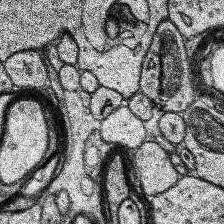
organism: Human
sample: Temporal Lobe